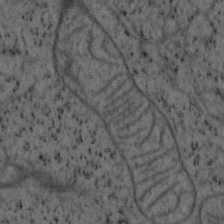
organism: Human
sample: HeLa cells